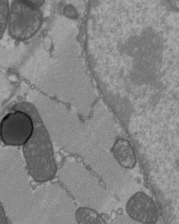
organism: C57BL Mouse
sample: Heart